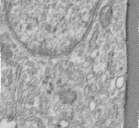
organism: Human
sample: Centriole in fibroblast cells